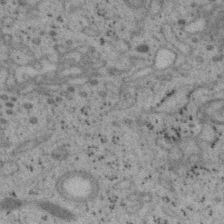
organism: Human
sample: HeLa cells